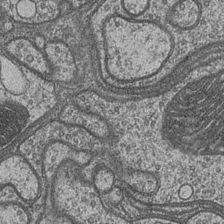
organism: Drosophila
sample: Optic medulla